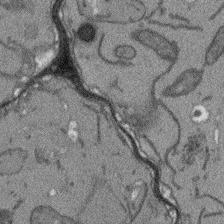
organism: Arabidopsis thaliana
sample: Root tip